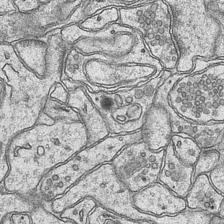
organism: Mouse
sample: CA1 Hippocampus